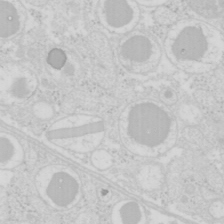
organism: Mouse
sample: Pancreas